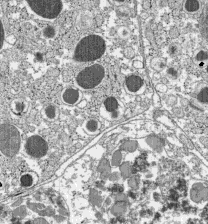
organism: C57BL Mouse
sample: Pancreatic islet